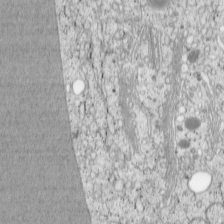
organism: African green monkey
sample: COS-7 cells